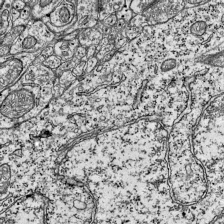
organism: Mouse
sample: Visual Cortex